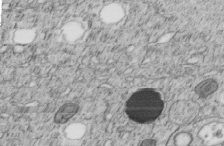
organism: C. elegans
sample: C. elegans embryo early stage